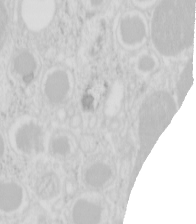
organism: Mouse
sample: Pancreas